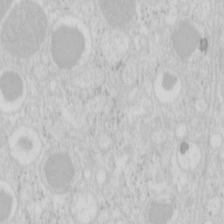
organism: Mouse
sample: Pancreas